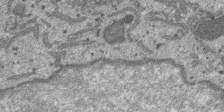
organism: Human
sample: Lung epithelial cells infected with SARS-CoV-2